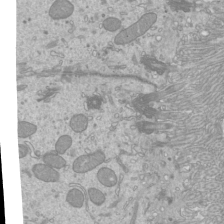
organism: Mouse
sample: Cilia; mouse epididymis